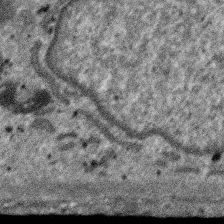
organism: Human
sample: Lung epithelial cells infected with SARS-CoV-2